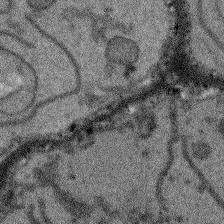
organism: Arabidopsis thaliana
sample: Root tip